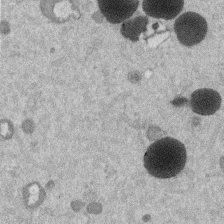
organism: Mouse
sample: Dividing mouse embryo 1 cell stage